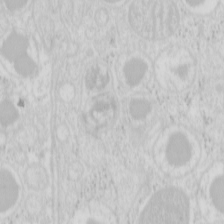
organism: Mouse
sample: Pancreas